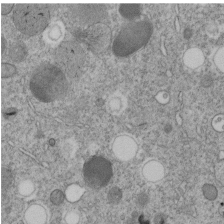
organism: C. elegans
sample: C. elegans embryo early stage